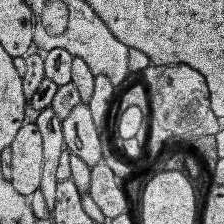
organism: Human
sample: Temporal Lobe